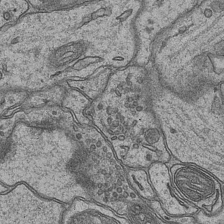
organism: Mouse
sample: CA1 Hippocampus